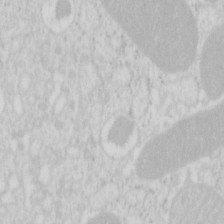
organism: Mouse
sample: Pancreas